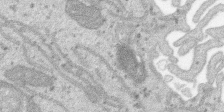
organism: Human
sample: Lung epithelial cells infected with SARS-CoV-2